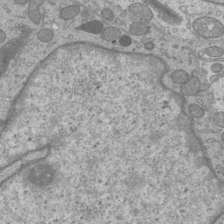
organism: Mouse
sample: Cilia; mouse epididymis